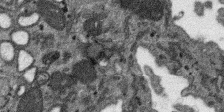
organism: Human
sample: Lung epithelial cells infected with SARS-CoV-2